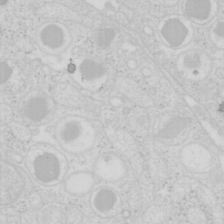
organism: Mouse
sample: Pancreas